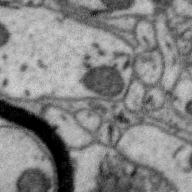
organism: Zebra finch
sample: Brain